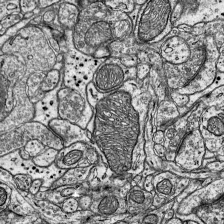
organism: Mouse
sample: Visual Cortex